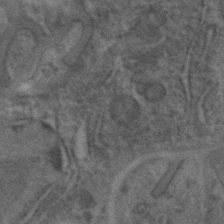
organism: C. elegans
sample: C. elegans embryo